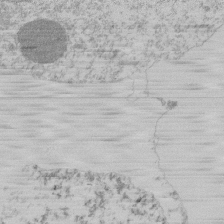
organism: Mouse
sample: Activated Pmel transgenic CD8+ T Cells